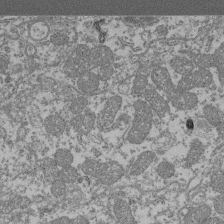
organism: Mouse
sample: Glomerulus